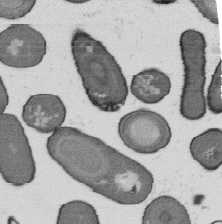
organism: B. subtilis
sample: Bacterial spore